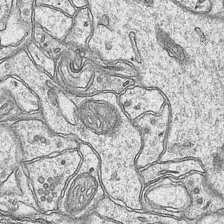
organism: Mouse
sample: CA1 Hippocampus